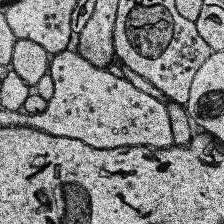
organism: Human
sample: Temporal Lobe